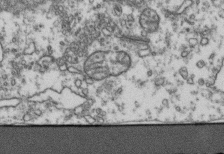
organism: Human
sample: Activated Jurkat CD4+ T cells